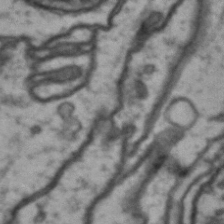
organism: Drosophila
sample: Brain